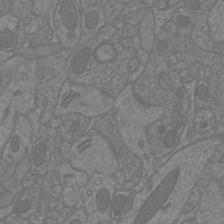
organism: Mouse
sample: Cortical neurons